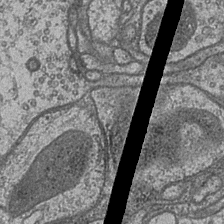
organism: Drosophila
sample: Optic medulla